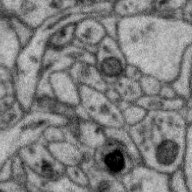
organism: Zebra finch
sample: Brain